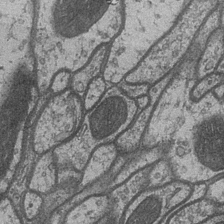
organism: Drosophila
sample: Optic medulla